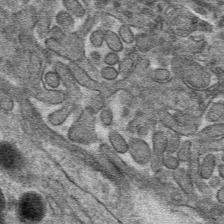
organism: Mouse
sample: Mouse hepatocytes